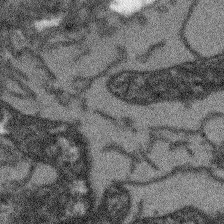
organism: Arabidopsis thaliana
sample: Root tip